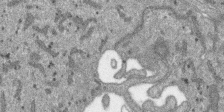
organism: Human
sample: Lung epithelial cells infected with SARS-CoV-2